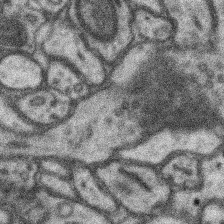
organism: Mouse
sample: Somatosensory cortex neuropil